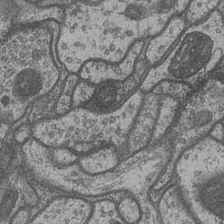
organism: Drosophila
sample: Optic medulla